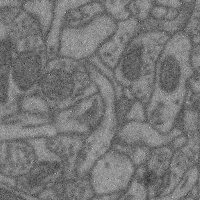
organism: Mouse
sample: Cerebral cortex